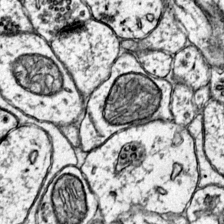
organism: Mouse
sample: Primary visual cortex